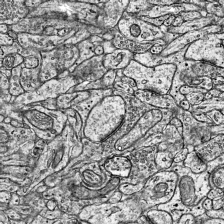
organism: Mouse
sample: Visual Cortex